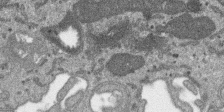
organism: Human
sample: Lung epithelial cells infected with SARS-CoV-2